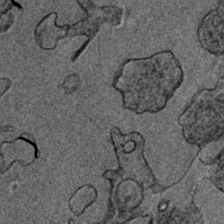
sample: Trachea